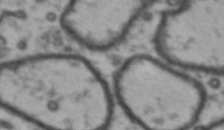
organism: Drosophila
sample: Brain